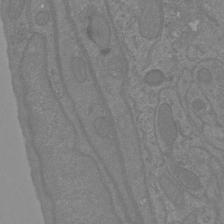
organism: Mouse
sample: Cortical neurons